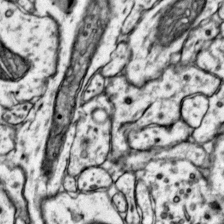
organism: Mouse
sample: Primary visual cortex